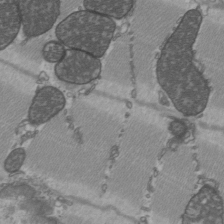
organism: C57BL Mouse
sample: Heart